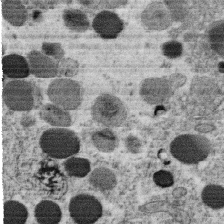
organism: C. elegans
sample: C. elegans oocyte; sperm cells